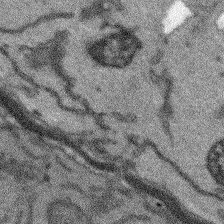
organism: Arabidopsis thaliana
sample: Root tip